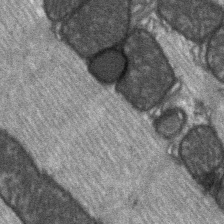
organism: C57BL Mouse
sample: Soleus